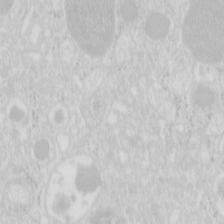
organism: Mouse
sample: Pancreas